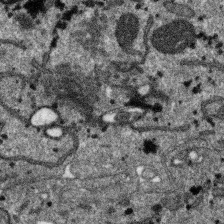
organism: Human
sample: Lung epithelial cells infected with SARS-CoV-2